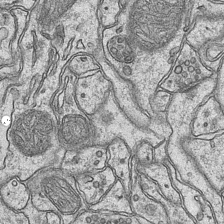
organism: Mouse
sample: CA1 Hippocampus